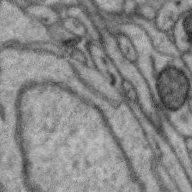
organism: Zebra finch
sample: Brain